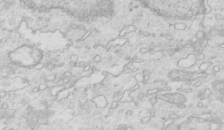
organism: Mouse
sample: Multiciliated cells